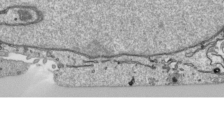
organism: Human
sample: Mitochondria in HCT116 cells